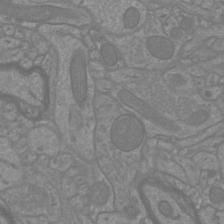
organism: Mouse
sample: Cortical neurons